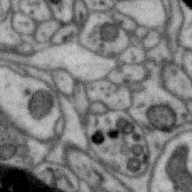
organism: Zebra finch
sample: Brain